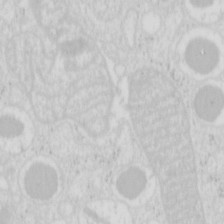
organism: Mouse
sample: Pancreas